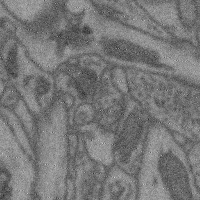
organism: Mouse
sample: Cerebral cortex